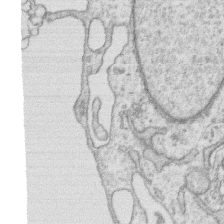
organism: Human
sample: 1205lu cells